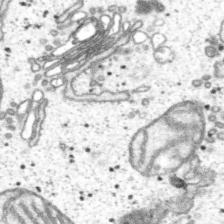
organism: Human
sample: HeLa cells